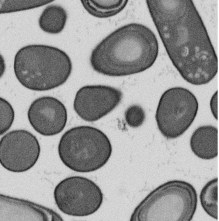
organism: B. subtilis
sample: Bacterial spore